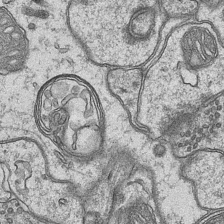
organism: Mouse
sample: CA1 Hippocampus